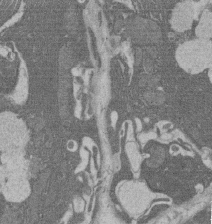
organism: Rat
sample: Salivary granule